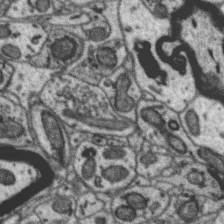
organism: Zebra finch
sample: Brain